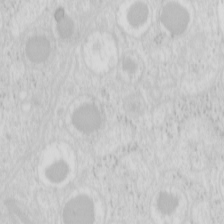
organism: Mouse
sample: Pancreas